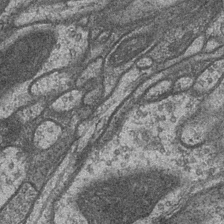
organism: Drosophila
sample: Optic medulla